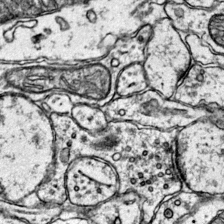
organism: Mouse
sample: Primary visual cortex